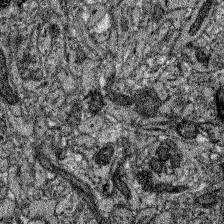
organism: Zebrafish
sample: Larval olfactory bulb